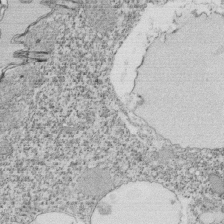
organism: Tetrahymena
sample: Cilia in tetrahymena